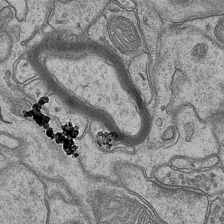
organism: Mouse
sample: CA1 Hippocampus